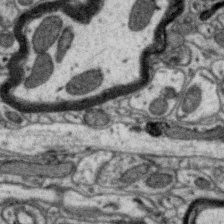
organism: Zebra finch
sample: Brain